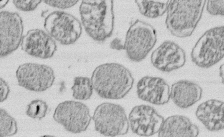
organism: E. coli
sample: Bacterial nucleoid